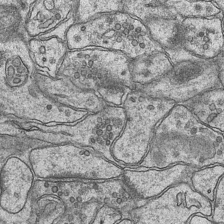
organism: Mouse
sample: CA1 Hippocampus